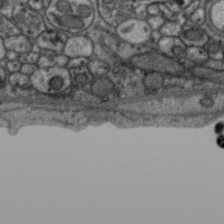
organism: Zebra finch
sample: Brain